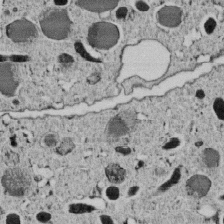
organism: C. elegans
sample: C. elegans embryo early stage